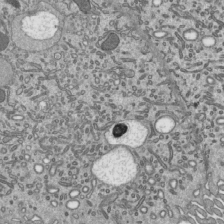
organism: Mouse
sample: Mouse epididymis efferent ductule cilia